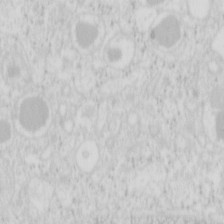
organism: Mouse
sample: Pancreas